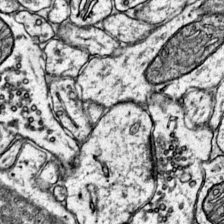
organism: Mouse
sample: Primary visual cortex